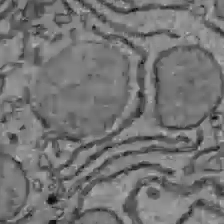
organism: C57BL Mouse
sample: Liver